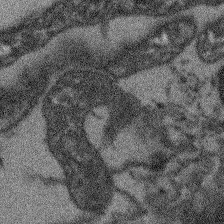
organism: Arabidopsis thaliana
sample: Root tip